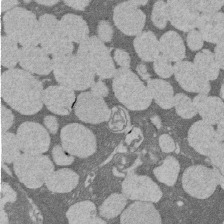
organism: Rat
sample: Salivary granule